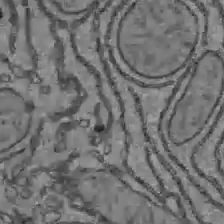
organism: C57BL Mouse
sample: Liver